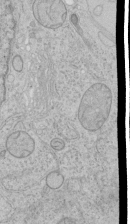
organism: Human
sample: Mitochondria in HCT116 cells